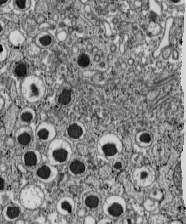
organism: C57BL Mouse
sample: Pancreatic islet